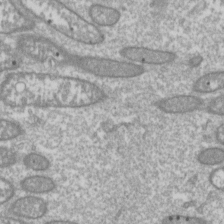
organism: Drosophila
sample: Cell division; meiosis; drosophila spermatocytes